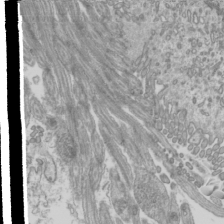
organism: Mouse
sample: Cilia; mouse epididymis